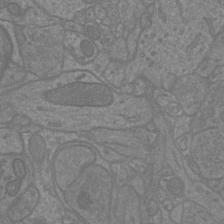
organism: Mouse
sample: Cortical neurons